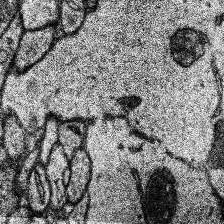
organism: Human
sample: Temporal Lobe